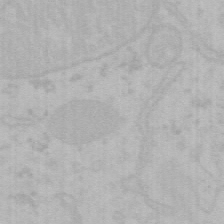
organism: Mouse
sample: Choroid plexus